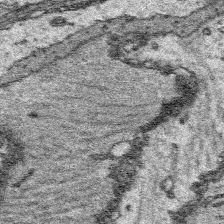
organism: Platynereis dumerilii